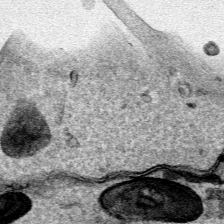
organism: Human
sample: Mitochondria in HCT116 cells